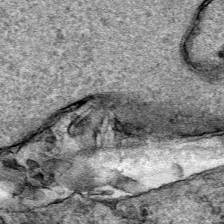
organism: Human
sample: Mitochondria in HCT116 cells